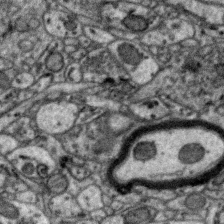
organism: Zebra finch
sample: Brain